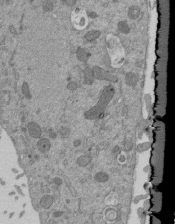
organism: Mouse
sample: ED-1 cell nuclei; centrioles